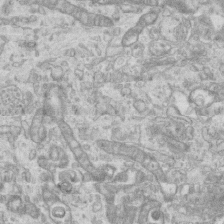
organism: Mouse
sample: Centriole in ependymal cells